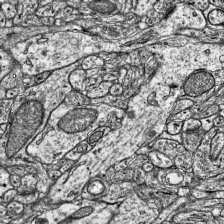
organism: Mouse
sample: Visual Cortex